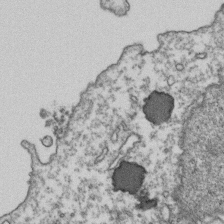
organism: Human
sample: Activated Jurkat CD4+ T cells